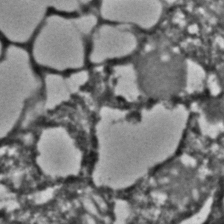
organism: C. elegans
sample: C. elegans embryo